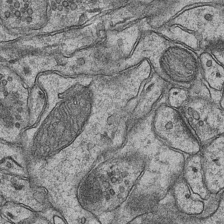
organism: Mouse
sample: CA1 Hippocampus